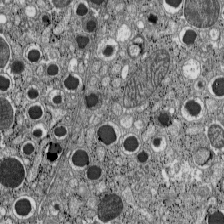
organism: C57BL Mouse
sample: Pancreatic islet